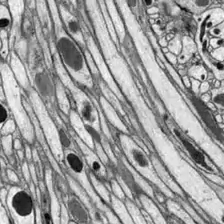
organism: Drosophila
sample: Optic lobe